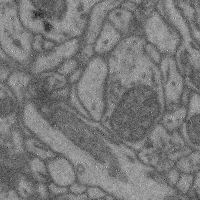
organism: Mouse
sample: Cerebral cortex